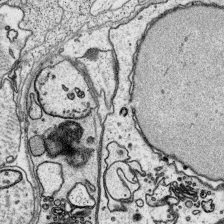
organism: Platynereis dumerilii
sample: Parapodia